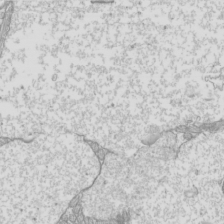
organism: Mouse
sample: Cilia; mouse epididymis